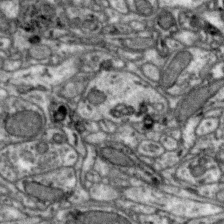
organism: Zebra finch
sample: Brain